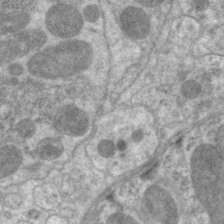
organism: C. elegans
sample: Pharynx